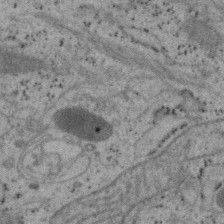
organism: Human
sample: HeLa cells